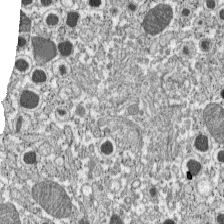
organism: C57BL Mouse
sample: Pancreatic islet